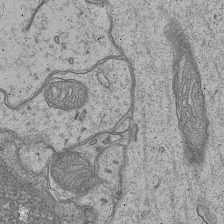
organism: Mouse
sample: CA1 Hippocampus